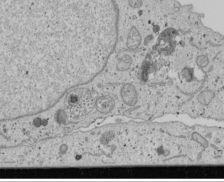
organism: Human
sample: Mitochondria in U2OS cells